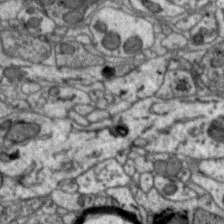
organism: Zebra finch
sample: Brain